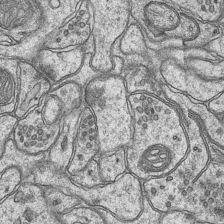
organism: Mouse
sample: CA1 Hippocampus